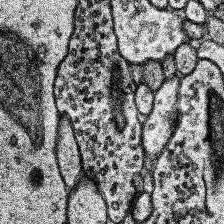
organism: Human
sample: Temporal Lobe